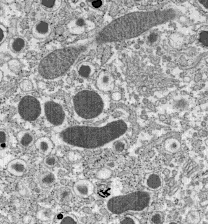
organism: C57BL Mouse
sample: Pancreatic islet